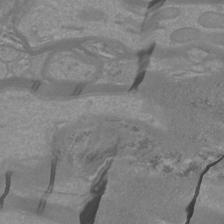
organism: Mouse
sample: Cortical neurons